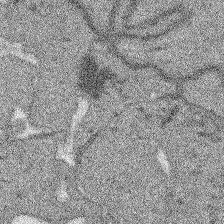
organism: Human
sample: HeLa cells